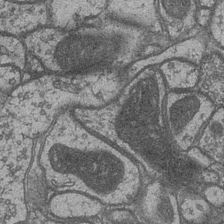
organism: Drosophila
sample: Optic medulla